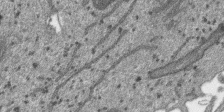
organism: Human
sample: Lung epithelial cells infected with SARS-CoV-2